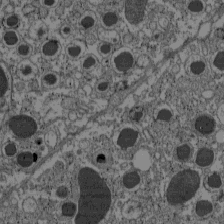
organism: C57BL Mouse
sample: Pancreatic islet